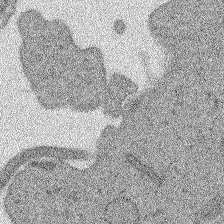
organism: Human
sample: HeLa cells